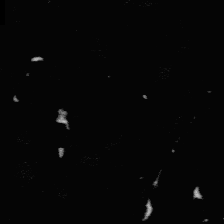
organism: Platynereis dumerilii